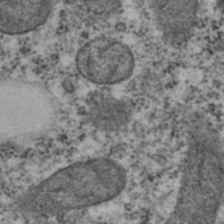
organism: C. elegans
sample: C. elegans embryo